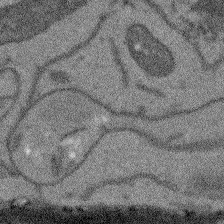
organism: Arabidopsis thaliana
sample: Root tip